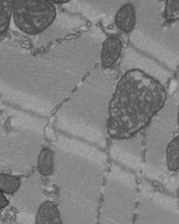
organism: C57BL Mouse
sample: Heart